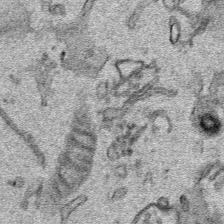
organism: Human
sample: Mitochondria in HCT116 cells